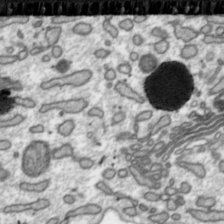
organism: Toxoplasma gondii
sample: Parasites in a vacuole inside a host cell